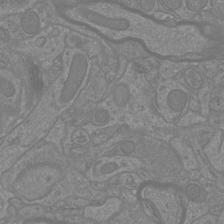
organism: Mouse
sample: Cortical neurons